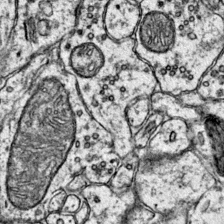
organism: Mouse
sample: Primary visual cortex